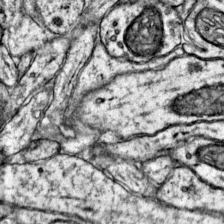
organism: Mouse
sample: Primary visual cortex